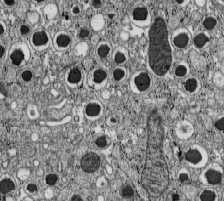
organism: C57BL Mouse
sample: Pancreatic islet